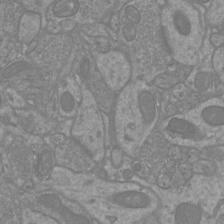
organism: Mouse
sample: Cortical neurons